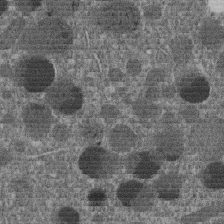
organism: C. elegans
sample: C. elegans embryo early stage